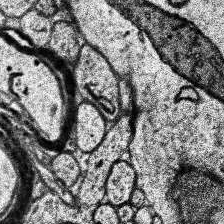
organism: Human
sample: Temporal Lobe